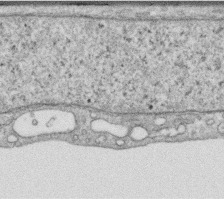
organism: Human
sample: Centriole in RPE cells